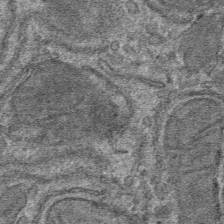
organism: Mouse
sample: Mouse hepatocytes